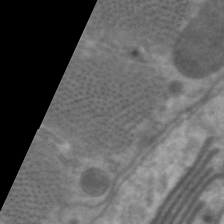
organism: C. elegans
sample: Pharynx